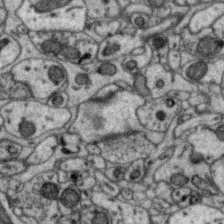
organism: Zebra finch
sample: Brain